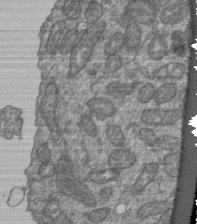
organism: Human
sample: Retinal organoid Rod and Cone cells